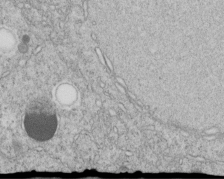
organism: C. elegans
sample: C. elegans embryo early stage